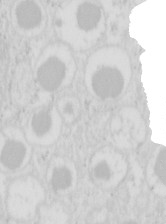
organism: Mouse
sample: Pancreas